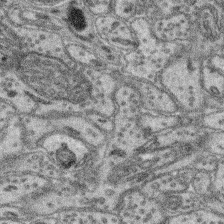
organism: Mouse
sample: Retina